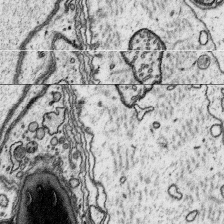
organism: Platynereis dumerilii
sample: Parapodia